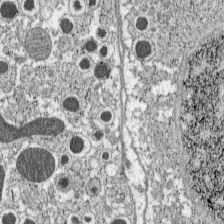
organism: C57BL Mouse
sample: Pancreatic islet